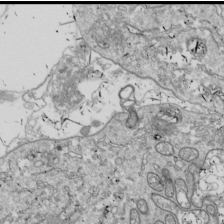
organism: Drosophila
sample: Cell division; meiosis; drosophila spermatocytes